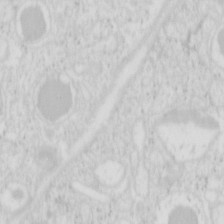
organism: Mouse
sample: Pancreas